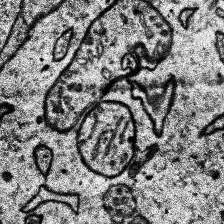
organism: Human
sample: Temporal Lobe